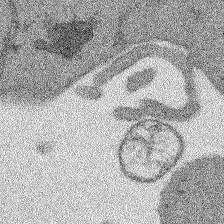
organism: Human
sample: HeLa cells